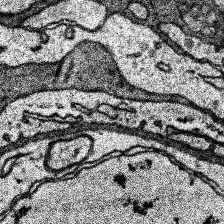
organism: Human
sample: Temporal Lobe